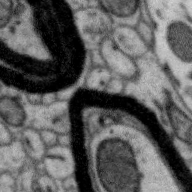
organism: Zebra finch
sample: Brain